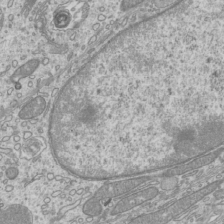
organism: Mouse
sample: Cilia; mouse epididymis